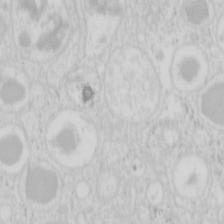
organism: Mouse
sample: Pancreas